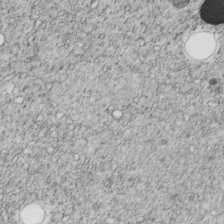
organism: C. elegans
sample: C. elegans embryo early stage